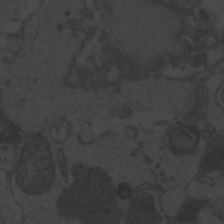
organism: Zebrafish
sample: Macrophage infected with Toxoplasma gondii